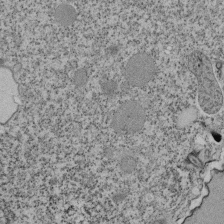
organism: Tetrahymena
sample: Cilia in tetrahymena